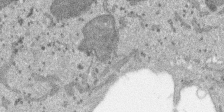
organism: Human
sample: Lung epithelial cells infected with SARS-CoV-2